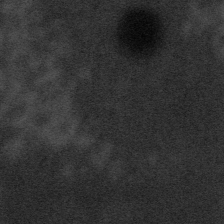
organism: Tuwongella immobilis